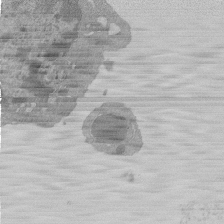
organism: Mouse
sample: Activated Pmel transgenic CD8+ T Cells